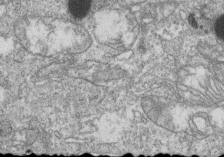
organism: Human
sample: HeLa cell HIV synapse